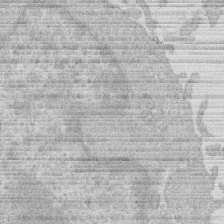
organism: Human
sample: Macrophage cells